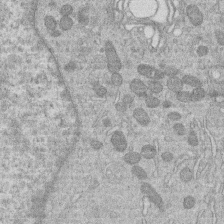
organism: Human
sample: Macrophage cells